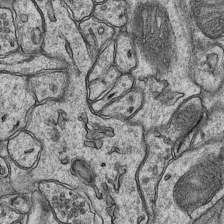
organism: Mouse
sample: CA1 Hippocampus